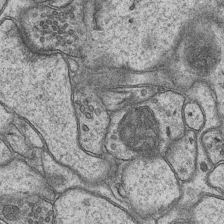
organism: Mouse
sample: CA1 Hippocampus